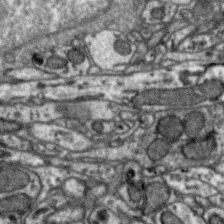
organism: Zebra finch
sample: Brain